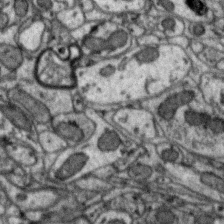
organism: Zebra finch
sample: Brain